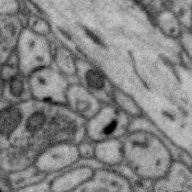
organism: Zebra finch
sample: Brain